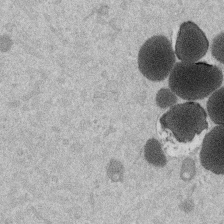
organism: Mouse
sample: Dividing mouse embryo 1 cell stage